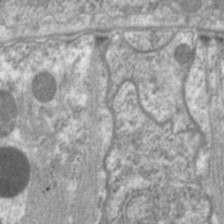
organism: C. elegans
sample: Pharynx